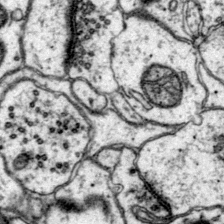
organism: Mouse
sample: Primary visual cortex